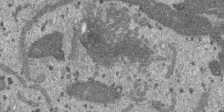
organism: Human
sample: Lung epithelial cells infected with SARS-CoV-2